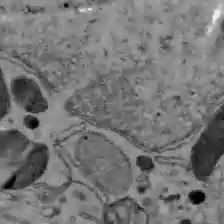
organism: C57BL Mouse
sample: Liver